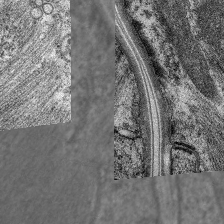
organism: C. elegans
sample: Pharynx